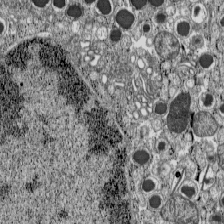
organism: C57BL Mouse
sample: Pancreatic islet